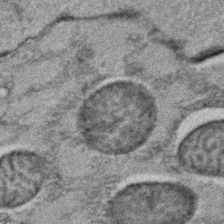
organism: C. elegans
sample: C. elegans embryo